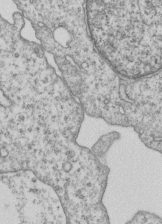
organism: Human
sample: MDA-MB-231 cells